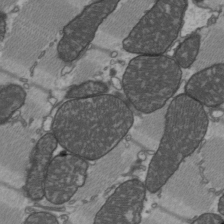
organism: C57BL Mouse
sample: Heart